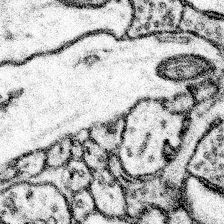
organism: Mouse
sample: Somatosensory cortex neuropil